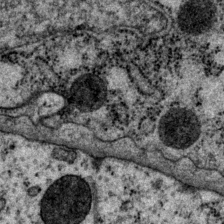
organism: P. pacificus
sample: Pharynx